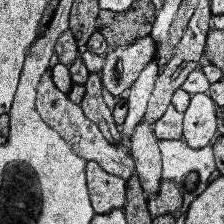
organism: Human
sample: Temporal Lobe